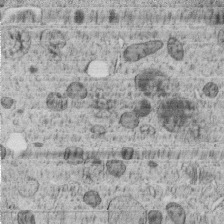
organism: C. elegans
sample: C. elegans embryo early stage